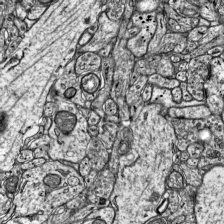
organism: Mouse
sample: Visual Cortex